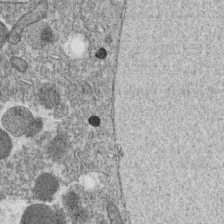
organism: C. elegans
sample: C. elegans oocyte; sperm cells